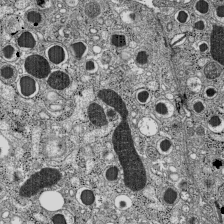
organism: C57BL Mouse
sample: Pancreatic islet